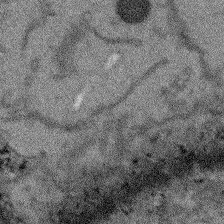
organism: Arabidopsis thaliana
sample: Root tip